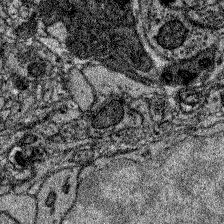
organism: Zebrafish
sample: Larval olfactory bulb